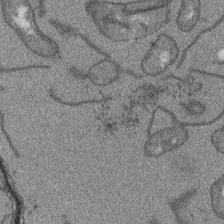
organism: Arabidopsis thaliana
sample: Root tip